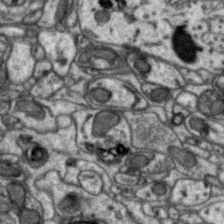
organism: Zebra finch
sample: Brain